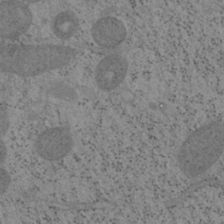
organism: Mouse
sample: OT-I killer T cells with ID8 ovarian cancer cells